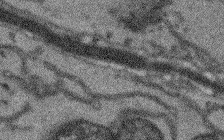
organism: Arabidopsis thaliana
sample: Root tip